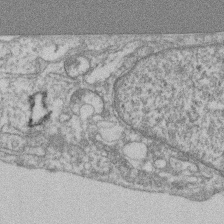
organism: Mouse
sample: T cell stromal cell synapse